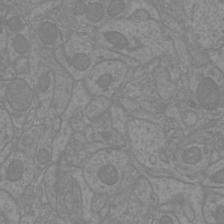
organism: Mouse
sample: Cortical neurons